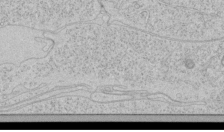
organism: Human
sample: Mitochondria in HCT116 cells